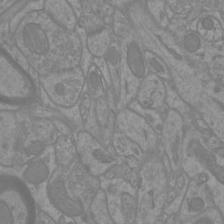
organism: Mouse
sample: Cortical neurons